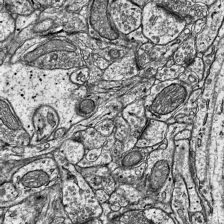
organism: Mouse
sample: Visual Cortex